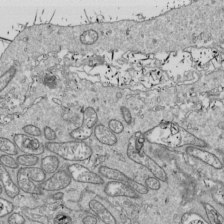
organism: Drosophila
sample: Cell division; meiosis; drosophila spermatocytes